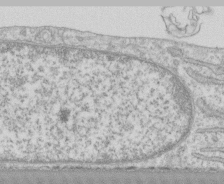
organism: Human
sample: CRL-1474